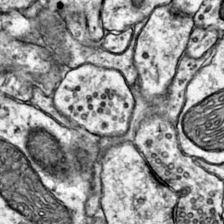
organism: Mouse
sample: Primary visual cortex